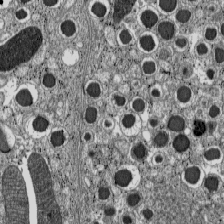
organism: C57BL Mouse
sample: Pancreatic islet